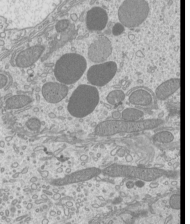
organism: Mouse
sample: Cilia; mouse epididymis